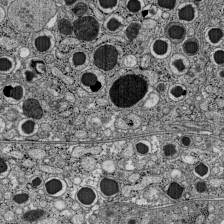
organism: C57BL Mouse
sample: Pancreatic islet